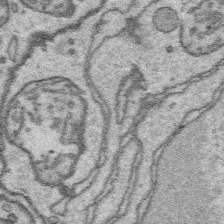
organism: Platynereis dumerilii